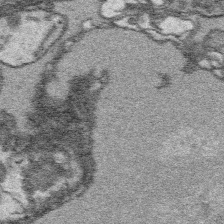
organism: Platynereis dumerilii